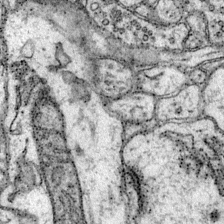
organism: Mouse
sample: Primary visual cortex